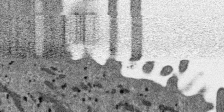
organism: Human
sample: Lung epithelial cells, uninfected (mock) control